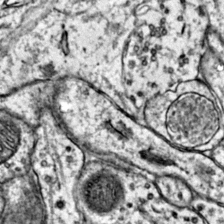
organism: Mouse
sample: Primary visual cortex